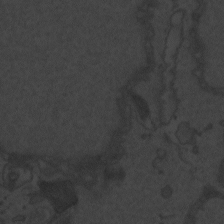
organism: Zebrafish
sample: Macrophage infected with Toxoplasma gondii